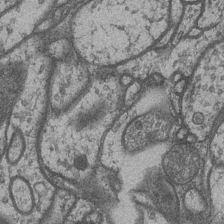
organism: Drosophila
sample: Optic medulla